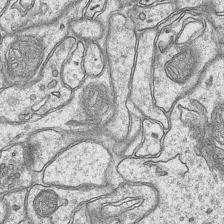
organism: Mouse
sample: CA1 Hippocampus